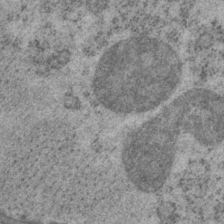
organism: P. pacificus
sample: Pharynx